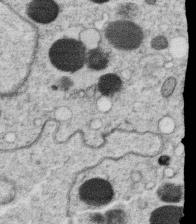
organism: C. elegans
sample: C. elegans oocyte; sperm cells